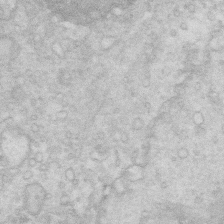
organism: Mouse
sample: Multiciliated cells